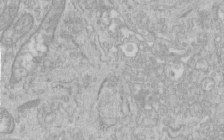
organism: Human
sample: Centriole in RPE cells